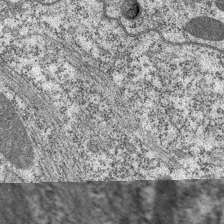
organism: C. elegans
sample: Pharynx